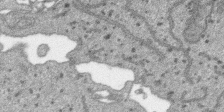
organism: Human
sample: Lung epithelial cells infected with SARS-CoV-2